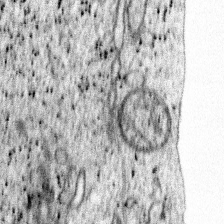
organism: Human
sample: HeLa cells